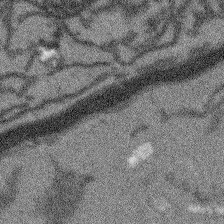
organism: Arabidopsis thaliana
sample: Root tip